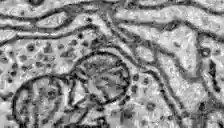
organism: Zebrafish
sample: Brain